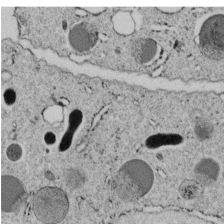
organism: C. elegans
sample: C. elegans embryo early stage